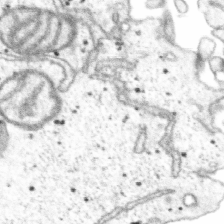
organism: Human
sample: HeLa cells